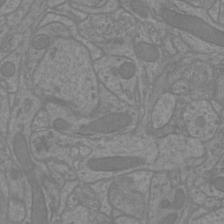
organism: Mouse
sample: Cortical neurons